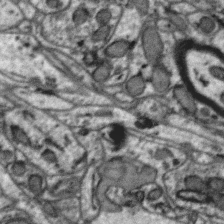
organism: Zebra finch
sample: Brain